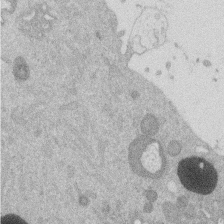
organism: Mouse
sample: Dividing mouse embryo 1 cell stage